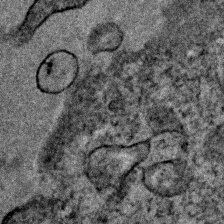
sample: Trachea